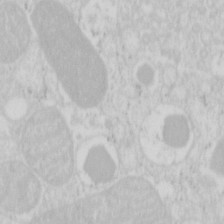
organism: Mouse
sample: Pancreas